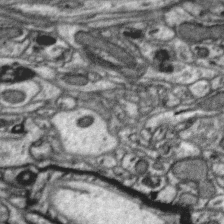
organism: Zebra finch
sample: Brain